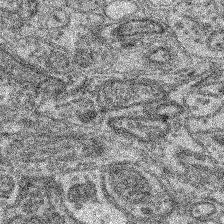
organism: Mouse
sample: Retina